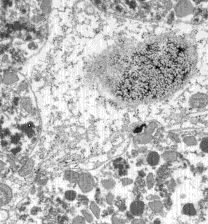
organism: C57BL Mouse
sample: Pancreatic islet